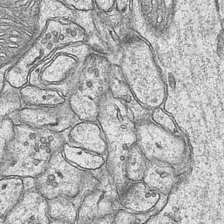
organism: Mouse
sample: CA1 Hippocampus